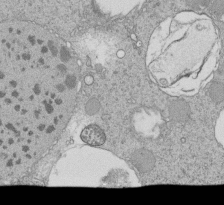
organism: Tetrahymena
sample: Cilia in tetrahymena